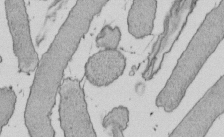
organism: E. coli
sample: Bacterial nucleoid